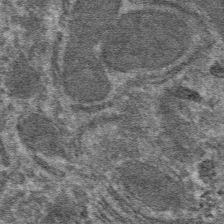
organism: Mouse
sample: Mouse hepatocytes